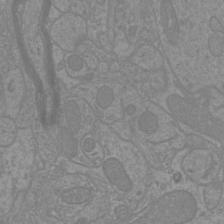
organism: Mouse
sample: Cortical neurons